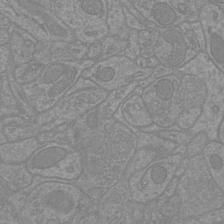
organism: Mouse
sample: Cortical neurons